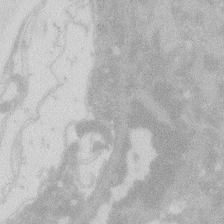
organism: Zebrafish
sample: Macrophage